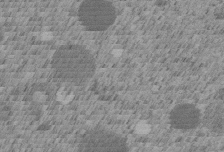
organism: C. elegans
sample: C. elegans embryo early stage